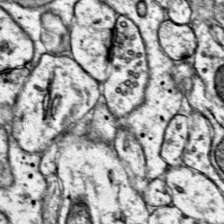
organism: Mouse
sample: Primary visual cortex